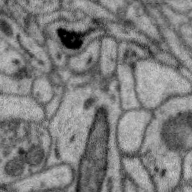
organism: Zebra finch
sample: Brain